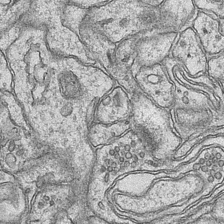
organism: Mouse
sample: CA1 Hippocampus